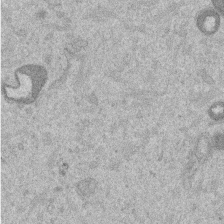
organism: Mouse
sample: Dividing mouse embryo 1 cell stage